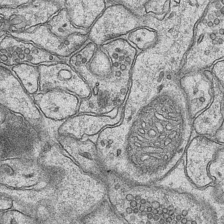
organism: Mouse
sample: CA1 Hippocampus